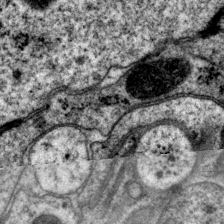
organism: P. pacificus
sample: Pharynx